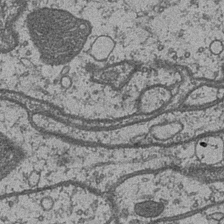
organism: Drosophila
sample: Optic medulla